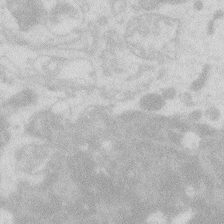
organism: Zebrafish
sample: Macrophage